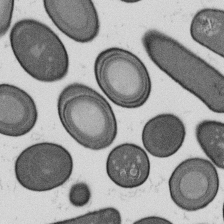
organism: B. subtilis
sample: Bacterial spore